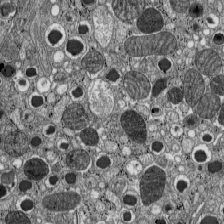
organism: C57BL Mouse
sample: Pancreatic islet